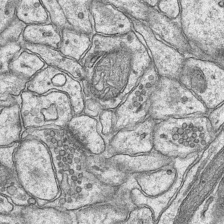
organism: Mouse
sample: CA1 Hippocampus